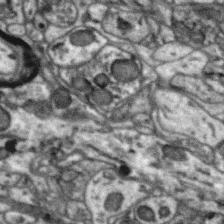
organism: Zebra finch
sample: Brain